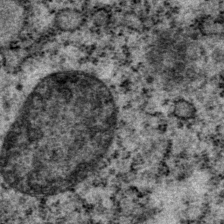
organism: P. pacificus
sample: Pharynx